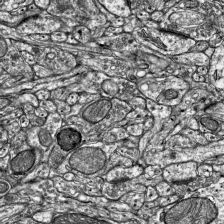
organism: Mouse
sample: Visual Cortex